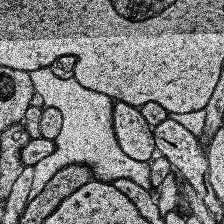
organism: Human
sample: Temporal Lobe